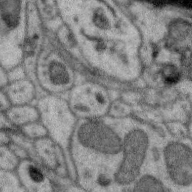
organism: Zebra finch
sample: Brain